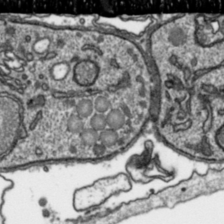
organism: Toxoplasma gondii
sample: Parasites in a vacuole inside a host cell